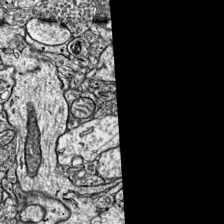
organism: Mouse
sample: Visual Cortex